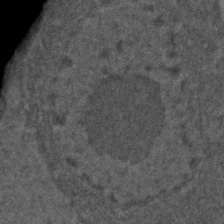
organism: C. elegans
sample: C. elegans embryo